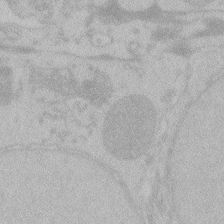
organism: Zebrafish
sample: Macrophage infected with Toxoplasma gondii